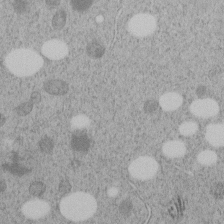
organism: C. elegans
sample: C. elegans embryo early stage